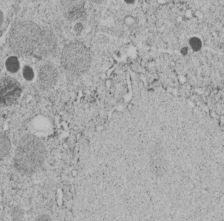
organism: C. elegans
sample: C. elegans embryo early stage